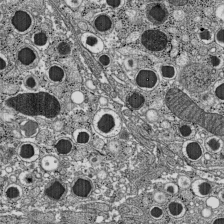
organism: C57BL Mouse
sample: Pancreatic islet